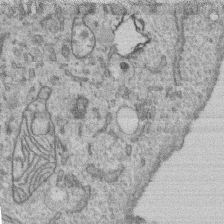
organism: Human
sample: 1205lu cells